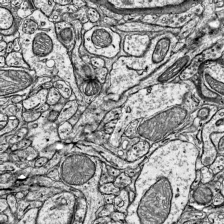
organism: Mouse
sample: Visual Cortex